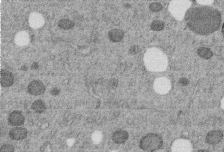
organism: C. elegans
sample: C. elegans embryo early stage